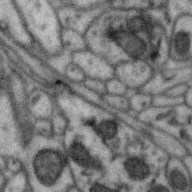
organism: Zebra finch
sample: Brain